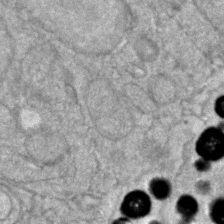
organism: Zebrafish